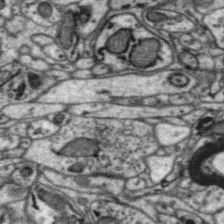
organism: Zebra finch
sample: Brain